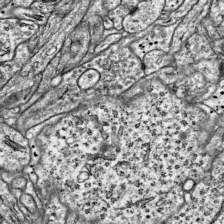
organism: Mouse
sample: Visual Cortex